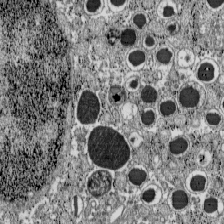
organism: C57BL Mouse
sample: Pancreatic islet